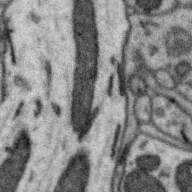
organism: Zebra finch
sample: Brain